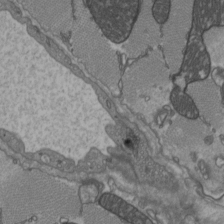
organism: C57BL Mouse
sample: Heart